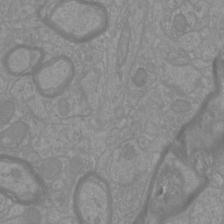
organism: Mouse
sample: Cortical neurons